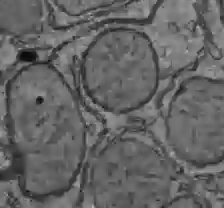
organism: C57BL Mouse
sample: Liver